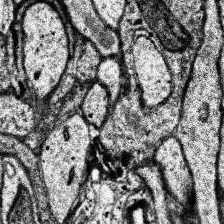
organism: Human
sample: Temporal Lobe